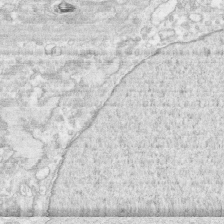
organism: Human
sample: CRL-1474